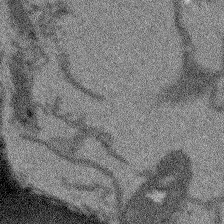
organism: Arabidopsis thaliana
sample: Root tip